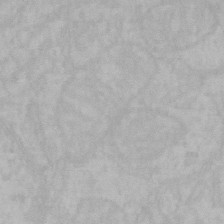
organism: Mouse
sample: Choroid plexus